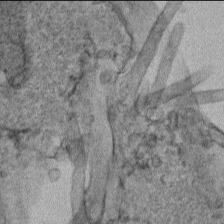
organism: Human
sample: Mitochondria in HCT116 cells